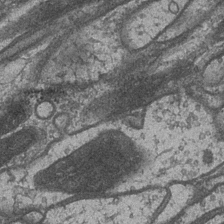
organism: Drosophila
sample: Optic medulla